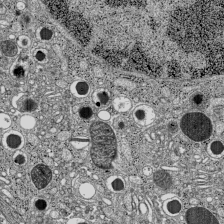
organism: C57BL Mouse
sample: Pancreatic islet